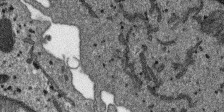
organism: Human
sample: Lung epithelial cells infected with SARS-CoV-2